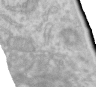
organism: Human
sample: Centriole in RPE cells